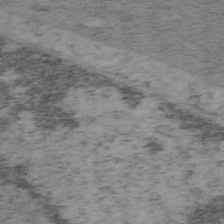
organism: Mouse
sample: OT-I killer T cells with ID8 ovarian cancer cells